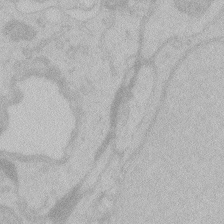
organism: Zebrafish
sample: Macrophage infected with Toxoplasma gondii